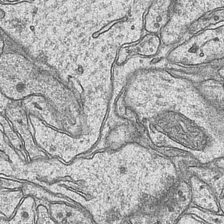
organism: Mouse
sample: CA1 Hippocampus